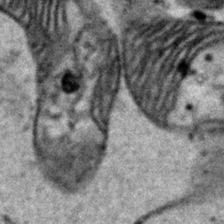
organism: Human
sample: Mitochondria in HCT116 cells